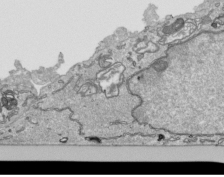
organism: Human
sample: Mitochondria in HCT116 cells